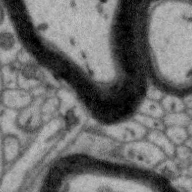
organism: Zebra finch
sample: Brain